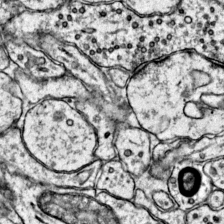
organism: Mouse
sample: Primary visual cortex